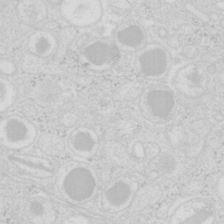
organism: Mouse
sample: Pancreas